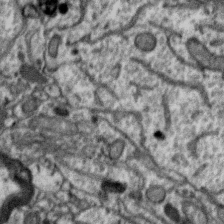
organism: Zebra finch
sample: Brain